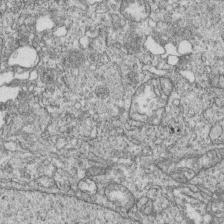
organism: Human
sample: HeLa cell HIV synapse